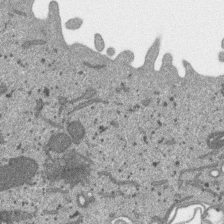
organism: Human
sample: Lung epithelial cells infected with SARS-CoV-2